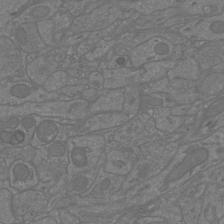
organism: Mouse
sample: Cortical neurons